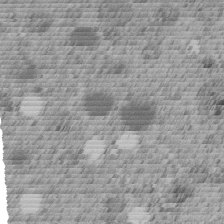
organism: C. elegans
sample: C. elegans embryo early stage